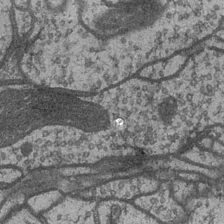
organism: Drosophila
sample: Optic medulla